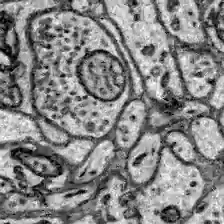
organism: Zebrafish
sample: Brain